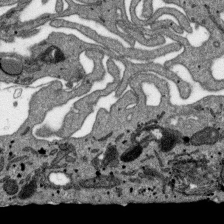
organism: Human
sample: Lung epithelial cells, uninfected (mock) control